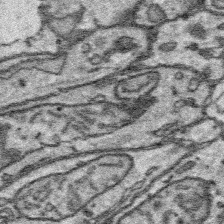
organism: Platynereis dumerilii